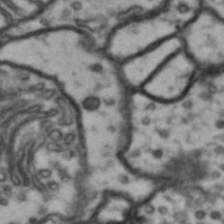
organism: Drosophila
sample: Brain